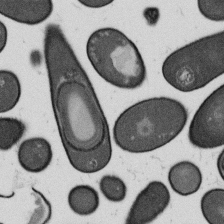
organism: B. subtilis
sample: Bacterial spore